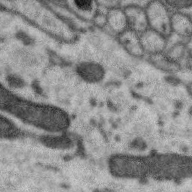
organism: Zebra finch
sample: Brain